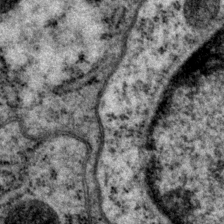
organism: P. pacificus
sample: Pharynx